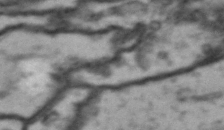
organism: Drosophila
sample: Brain